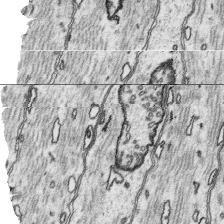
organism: Platynereis dumerilii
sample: Parapodia